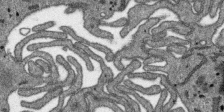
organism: Human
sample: Lung epithelial cells, uninfected (mock) control